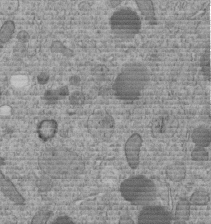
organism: C. elegans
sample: C. elegans embryo early stage